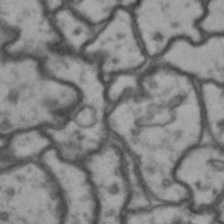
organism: Drosophila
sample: Brain